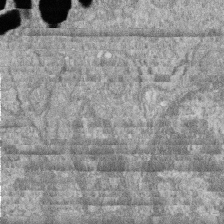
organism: Zebrafish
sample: Cilia; retinal pigment epithelium